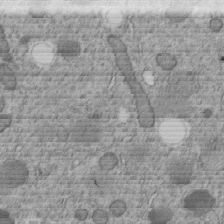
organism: C. elegans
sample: C. elegans embryo early stage